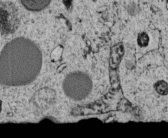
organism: C. elegans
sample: C. elegans embryo early stage